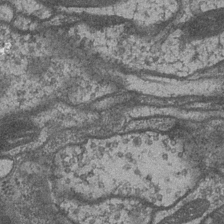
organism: Drosophila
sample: Optic medulla